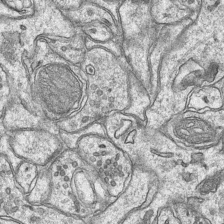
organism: Mouse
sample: CA1 Hippocampus